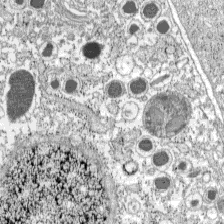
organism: C57BL Mouse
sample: Pancreatic islet